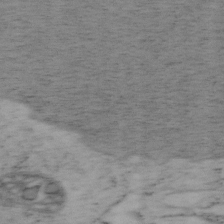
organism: Mouse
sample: OT-I killer T cells with ID8 ovarian cancer cells